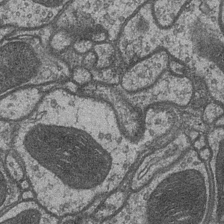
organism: Drosophila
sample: Optic medulla